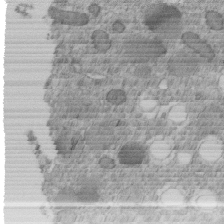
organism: C. elegans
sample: C. elegans embryo early stage